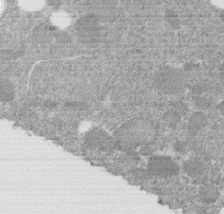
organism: C. elegans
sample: C. elegans embryo early stage